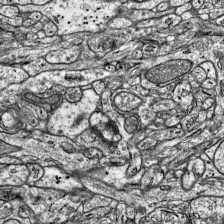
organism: Mouse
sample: Visual Cortex